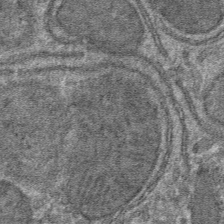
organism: Mouse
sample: Mouse hepatocytes